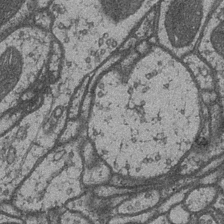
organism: Drosophila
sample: Optic medulla